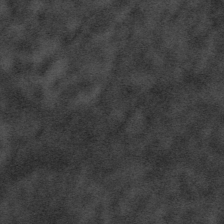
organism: Tuwongella immobilis